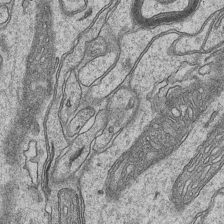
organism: Mouse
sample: CA1 Hippocampus